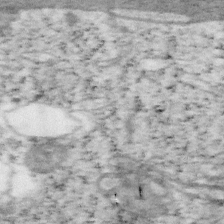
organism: Mouse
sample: OT-I killer T cells with ID8 ovarian cancer cells